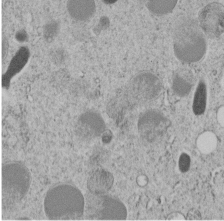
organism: C. elegans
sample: C. elegans embryo early stage